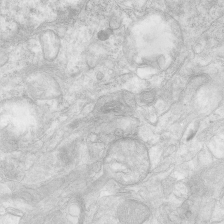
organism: Human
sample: Neocortex